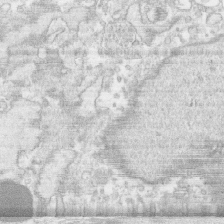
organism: Human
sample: CRL-1474